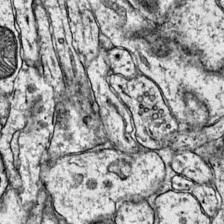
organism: Mouse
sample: Primary visual cortex